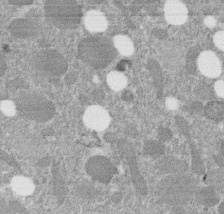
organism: C. elegans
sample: C. elegans embryo early stage